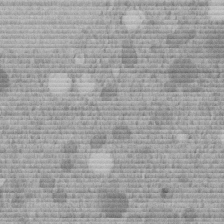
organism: C. elegans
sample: C. elegans embryo early stage